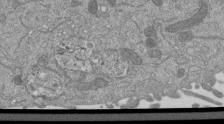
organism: Mouse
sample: ED-1 cell nuclei; centrioles